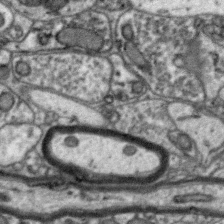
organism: Zebra finch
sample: Brain